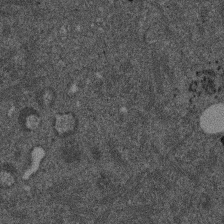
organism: Mouse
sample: Dividing mouse embryo 1 cell stage